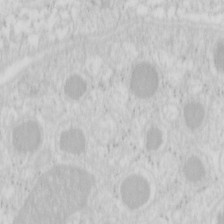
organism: Mouse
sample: Pancreas